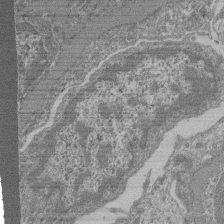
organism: Mouse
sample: Glomerulus